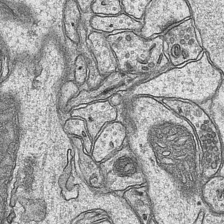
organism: Mouse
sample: CA1 Hippocampus